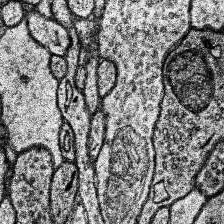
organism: Human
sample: Temporal Lobe